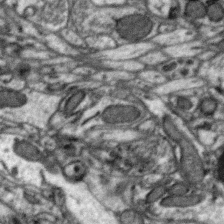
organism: Zebra finch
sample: Brain